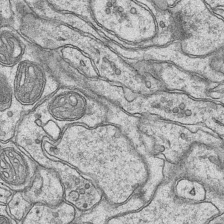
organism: Mouse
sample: CA1 Hippocampus